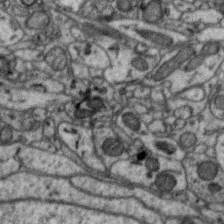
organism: Zebra finch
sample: Brain